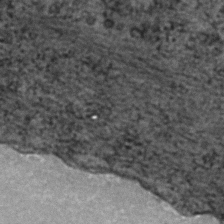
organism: Zebrafish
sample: Zebrafish embryo